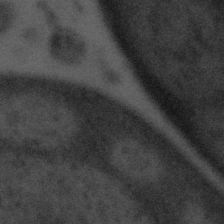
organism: Tuwongella immobilis